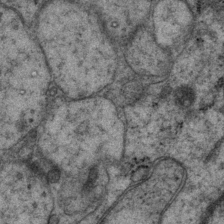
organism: P. pacificus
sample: Pharynx